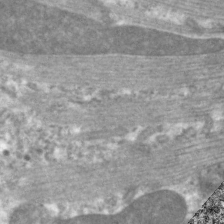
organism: C. elegans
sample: Pharynx